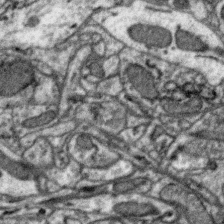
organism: Zebra finch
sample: Brain